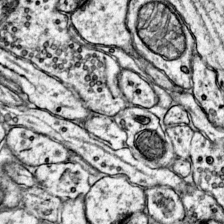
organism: Mouse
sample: Primary visual cortex